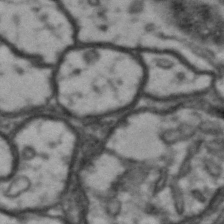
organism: Drosophila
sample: Brain